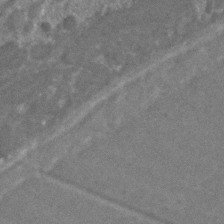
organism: C. elegans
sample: C. elegans embryo